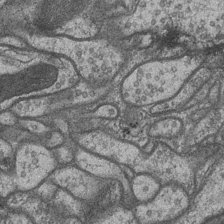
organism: Drosophila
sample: Optic medulla